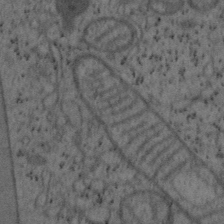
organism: Human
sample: HeLa cells